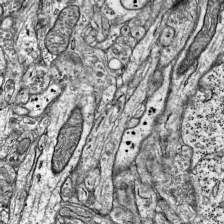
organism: Mouse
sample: Visual Cortex